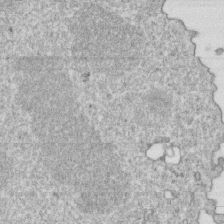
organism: Mouse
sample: Activated OT-1 CD8+ T cells